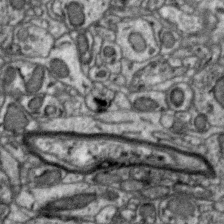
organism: Zebra finch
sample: Brain